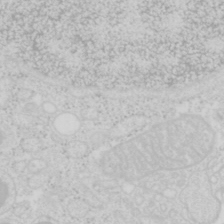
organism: Mouse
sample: Pancreas